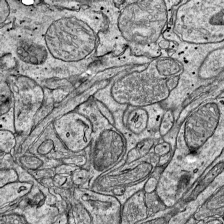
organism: Mouse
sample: Visual Cortex